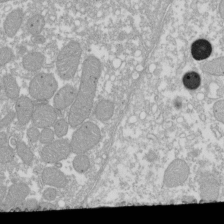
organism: Xenopus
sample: Cilia; centrioles in frog embryo cells